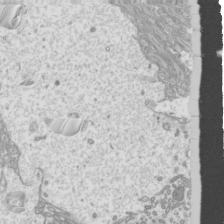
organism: Mouse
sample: Cilia; mouse epididymis